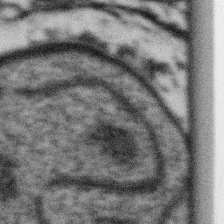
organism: Gemmata obscuriglobus